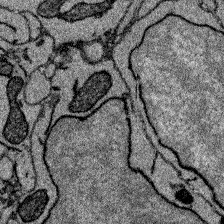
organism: Zebrafish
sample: Larval olfactory bulb